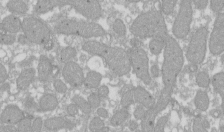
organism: Xenopus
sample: Cilia; centrioles in frog embryo cells